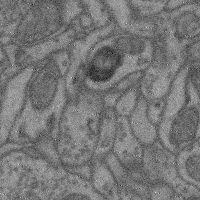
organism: Mouse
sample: Cerebral cortex